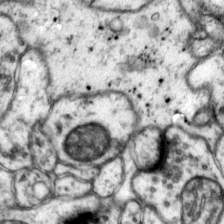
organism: Mouse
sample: Primary visual cortex